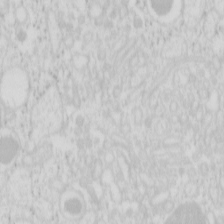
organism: Mouse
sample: Pancreas